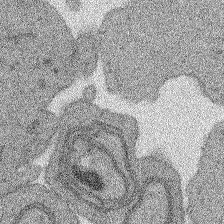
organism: Human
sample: HeLa cells